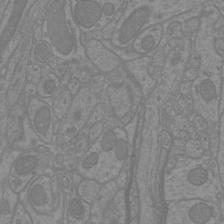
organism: Mouse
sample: Cortical neurons